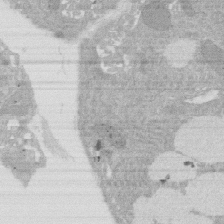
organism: Rat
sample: Salivary granule